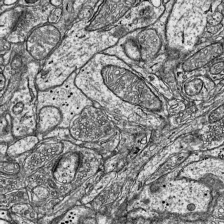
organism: Mouse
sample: Visual Cortex